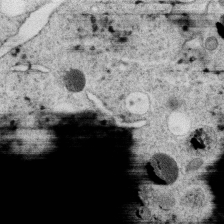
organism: C. elegans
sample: C. elegans oocyte; sperm cells